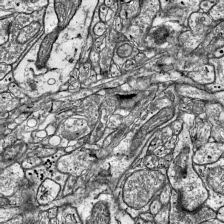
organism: Mouse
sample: Visual Cortex